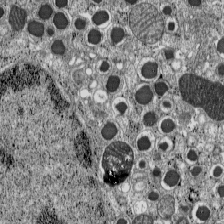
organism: C57BL Mouse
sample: Pancreatic islet